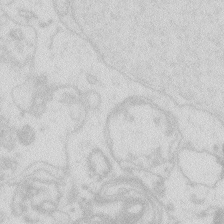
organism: Zebrafish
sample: Macrophage